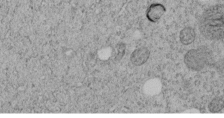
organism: C. elegans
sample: C. elegans embryo early stage